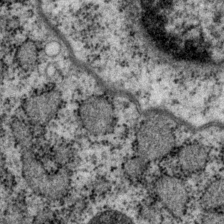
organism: P. pacificus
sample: Pharynx